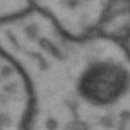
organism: Drosophila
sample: Brain